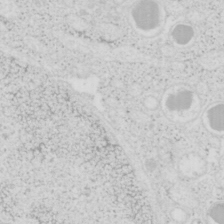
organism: Mouse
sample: Pancreas